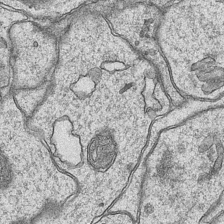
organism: Mouse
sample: CA1 Hippocampus